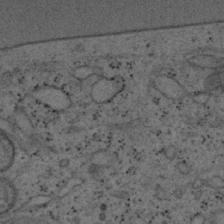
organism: Human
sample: HeLa cells